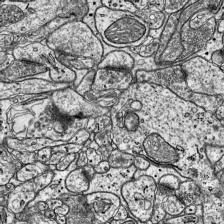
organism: Mouse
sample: Visual Cortex